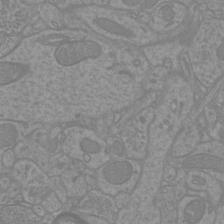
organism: Mouse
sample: Cortical neurons